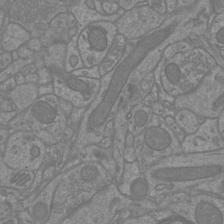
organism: Mouse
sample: Cortical neurons